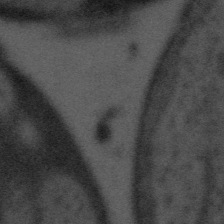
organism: Tuwongella immobilis